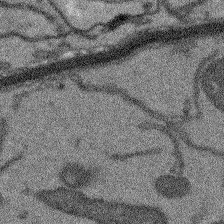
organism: Arabidopsis thaliana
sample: Root tip